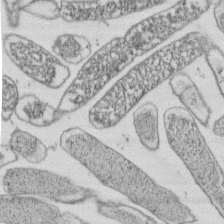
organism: E. coli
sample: Bacterial nucleoid